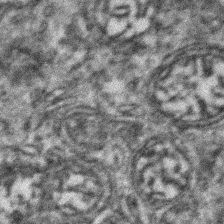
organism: Zebrafish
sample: Zebrafish embryo